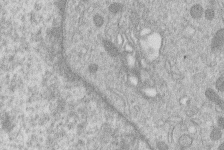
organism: Human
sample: Macrophage cells